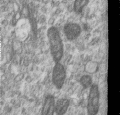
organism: Human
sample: Centriole in RPE cells